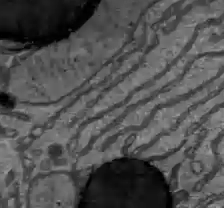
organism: C57BL Mouse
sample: Liver